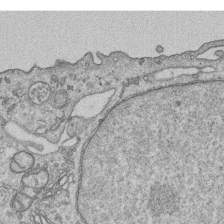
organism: Human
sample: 1205lu cells